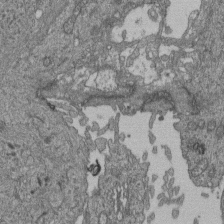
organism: Human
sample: Retinal organoid Rod and Cone cells